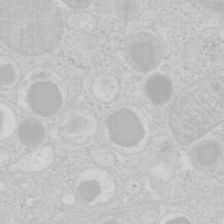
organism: Mouse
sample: Pancreas